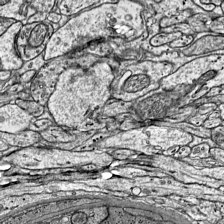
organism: Mouse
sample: Visual Cortex